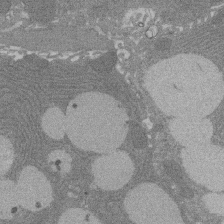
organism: Rat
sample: Salivary granule